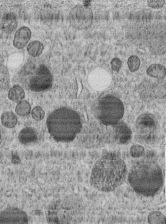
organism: C. elegans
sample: C. elegans embryo early stage